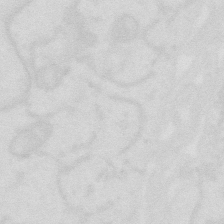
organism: Human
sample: HeLa cells